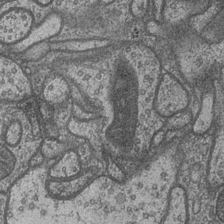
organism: Drosophila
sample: Optic medulla